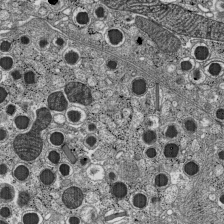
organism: C57BL Mouse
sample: Pancreatic islet